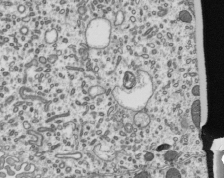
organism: Mouse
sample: Mouse epididymis efferent ductule cilia